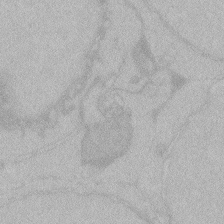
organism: Zebrafish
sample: Macrophage infected with Toxoplasma gondii